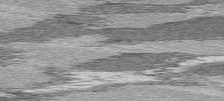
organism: C57BL Mouse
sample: Heart